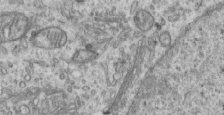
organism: Human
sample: Centriole in RPE cells